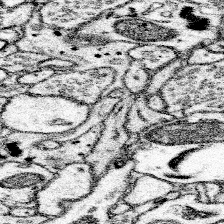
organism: Mouse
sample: Somatosensory cortex neuropil